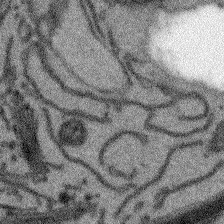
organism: Arabidopsis thaliana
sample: Root tip